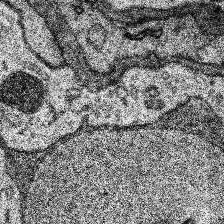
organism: Human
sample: Temporal Lobe